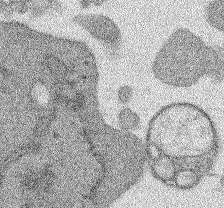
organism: Human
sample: HeLa cells